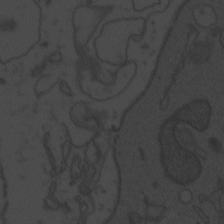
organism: Zebrafish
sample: Macrophage infected with Toxoplasma gondii